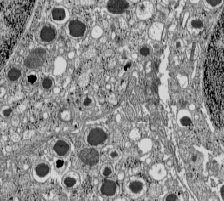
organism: C57BL Mouse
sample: Pancreatic islet